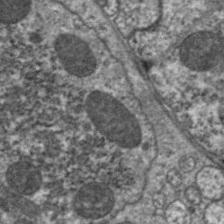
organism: C. elegans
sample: Pharynx